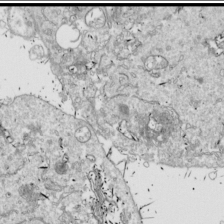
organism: Drosophila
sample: Cell division; meiosis; drosophila spermatocytes